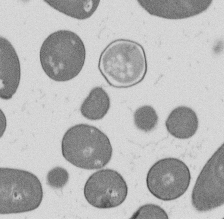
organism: B. subtilis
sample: Bacterial spore